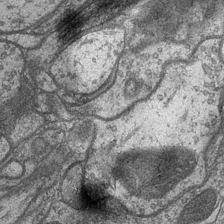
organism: Drosophila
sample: Optic medulla